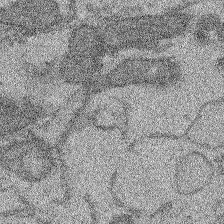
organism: Human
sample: HeLa cells